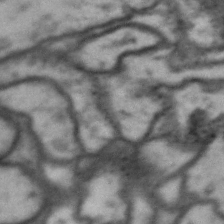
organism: Drosophila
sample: Brain